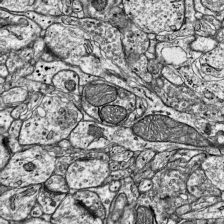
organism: Mouse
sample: Visual Cortex